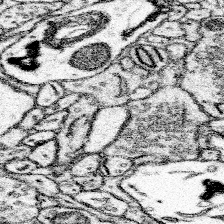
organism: Mouse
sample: Somatosensory cortex neuropil